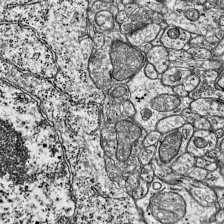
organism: Mouse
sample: Visual Cortex